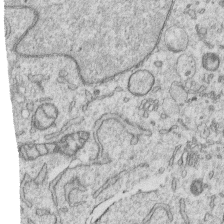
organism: Human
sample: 1205lu cells